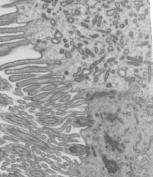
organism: Mouse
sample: Mouse epididymis efferent ductule cilia